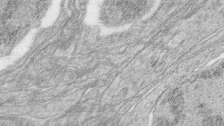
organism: Zebrafish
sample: synaptic ribbons in rod cells and cone cells